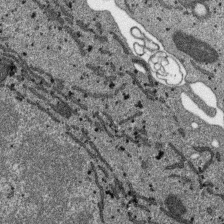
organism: Human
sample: Lung epithelial cells infected with SARS-CoV-2